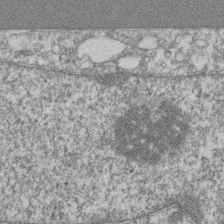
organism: Mouse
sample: T cell stromal cell synapse